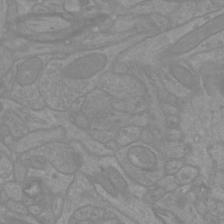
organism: Mouse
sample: Cortical neurons